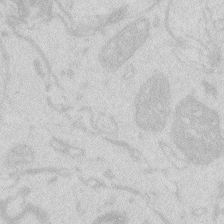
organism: Zebrafish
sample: Macrophage